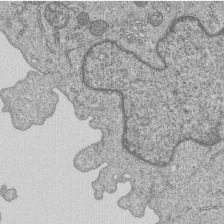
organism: Human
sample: MDA-MB-231 cells